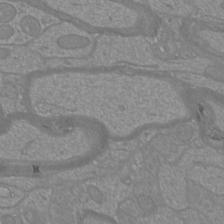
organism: Mouse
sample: Cortical neurons